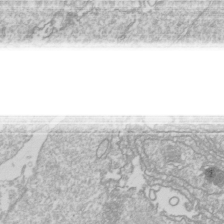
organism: Drosophila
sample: Cell division; meiosis; drosophila spermatocytes